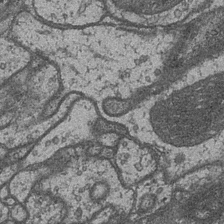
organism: Drosophila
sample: Optic medulla